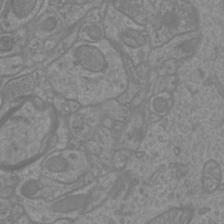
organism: Mouse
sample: Cortical neurons